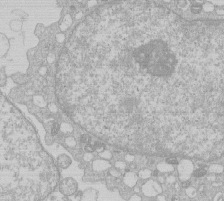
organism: Human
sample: Macrophage cells